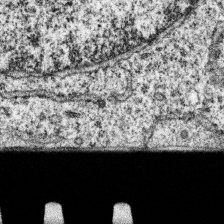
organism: Human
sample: HeLa cells